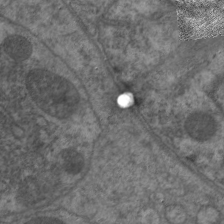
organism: C. elegans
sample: Pharynx